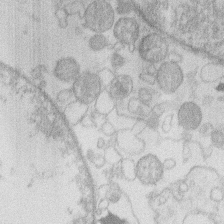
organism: Human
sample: Macrophage cells